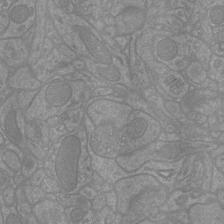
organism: Mouse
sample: Cortical neurons